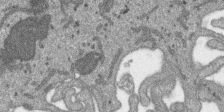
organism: Human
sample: Lung epithelial cells infected with SARS-CoV-2